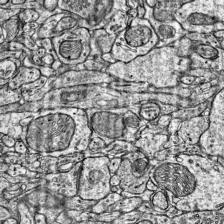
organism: Mouse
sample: Visual Cortex